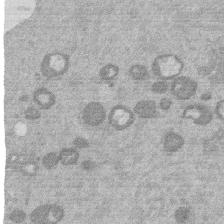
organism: Mouse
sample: Dividing mouse embryo 1 cell stage